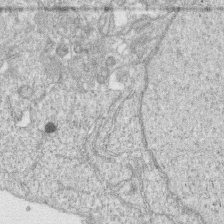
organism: Human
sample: HeLa cell HIV synapse